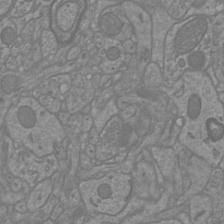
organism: Mouse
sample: Cortical neurons